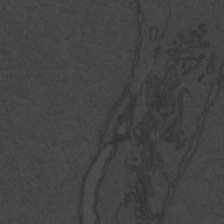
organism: Zebrafish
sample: Macrophage infected with Toxoplasma gondii